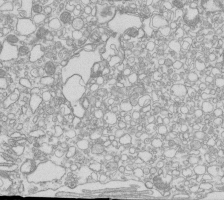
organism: Mouse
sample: Macrophages